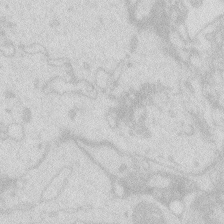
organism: Zebrafish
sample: Macrophage